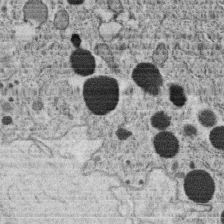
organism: C. elegans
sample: C. elegans oocyte; sperm cells